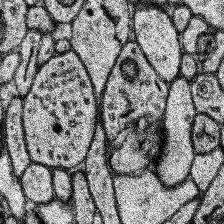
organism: Human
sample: Temporal Lobe